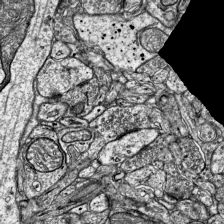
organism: Mouse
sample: Visual Cortex